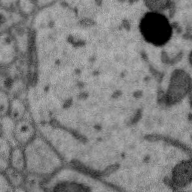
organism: Zebra finch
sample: Brain